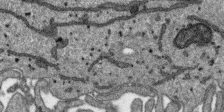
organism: Human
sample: Lung epithelial cells, uninfected (mock) control